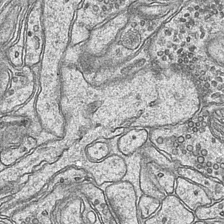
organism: Mouse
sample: CA1 Hippocampus